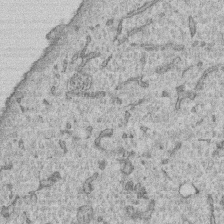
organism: Human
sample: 1205lu cells